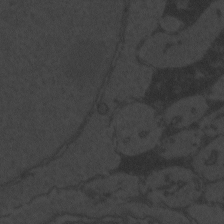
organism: Zebrafish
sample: Macrophage infected with Toxoplasma gondii